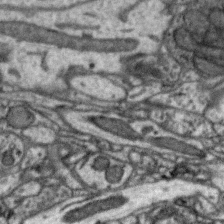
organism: Zebra finch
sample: Brain